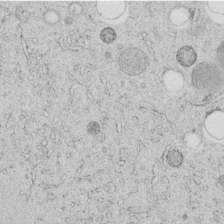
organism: C. elegans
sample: C. elegans embryo early stage